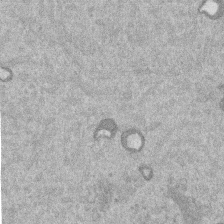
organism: Mouse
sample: Dividing mouse embryo 1 cell stage